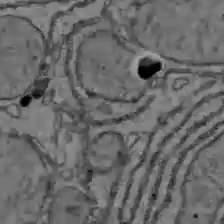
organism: C57BL Mouse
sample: Liver